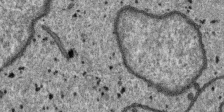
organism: Human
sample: Lung epithelial cells, uninfected (mock) control